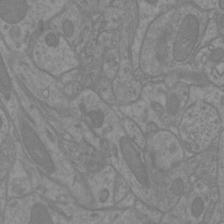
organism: Mouse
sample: Cortical neurons